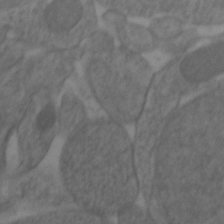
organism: Zebrafish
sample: Zebrafish embryo